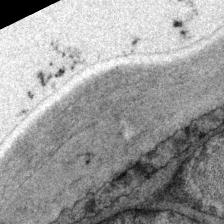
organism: P. pacificus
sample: Pharynx